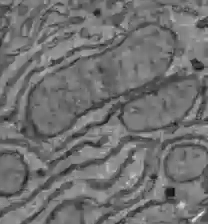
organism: C57BL Mouse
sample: Liver